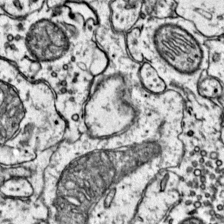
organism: Mouse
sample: Primary visual cortex